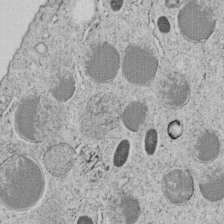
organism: C. elegans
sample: C. elegans embryo early stage